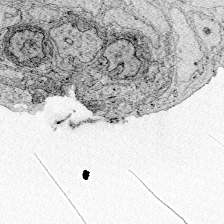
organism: Zebrafish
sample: Whole-Brain